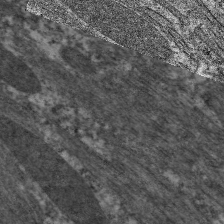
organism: C. elegans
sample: Pharynx